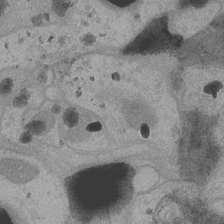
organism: Drosophila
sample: Optic medulla